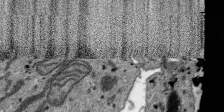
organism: Human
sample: Lung epithelial cells, uninfected (mock) control